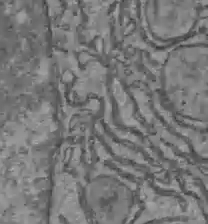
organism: C57BL Mouse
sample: Liver